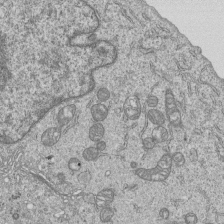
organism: Human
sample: MDA-MB-231 cells